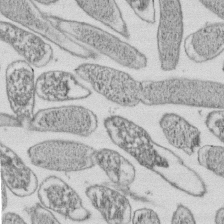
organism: E. coli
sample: Bacterial nucleoid